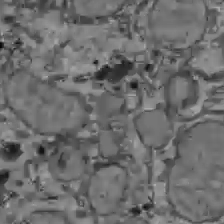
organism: C57BL Mouse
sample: Liver